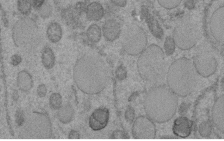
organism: C. elegans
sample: C. elegans embryo early stage